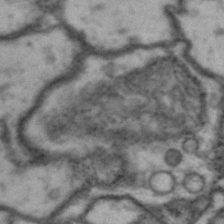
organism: Drosophila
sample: Brain